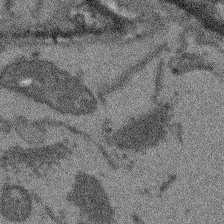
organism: Arabidopsis thaliana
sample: Root tip